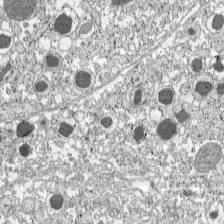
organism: C57BL Mouse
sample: Pancreatic islet